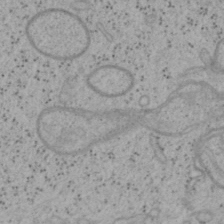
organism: Human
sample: HeLa cells